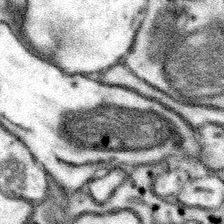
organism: Mouse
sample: Somatosensory cortex neuropil